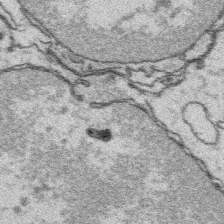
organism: Platynereis dumerilii